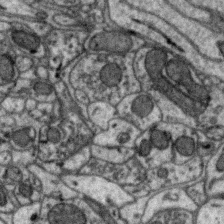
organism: Zebra finch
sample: Brain